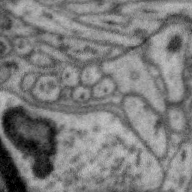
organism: Zebra finch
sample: Brain